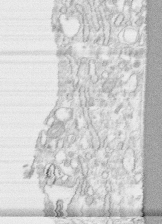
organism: Human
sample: CRL-1474